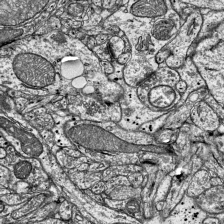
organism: Mouse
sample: Visual Cortex